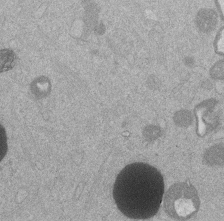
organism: Mouse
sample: Dividing mouse embryo 1 cell stage